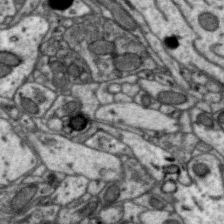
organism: Zebra finch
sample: Brain